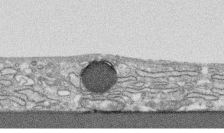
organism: Human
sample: CRL-1474